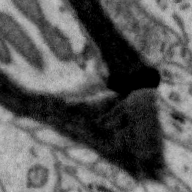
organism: Zebra finch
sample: Brain